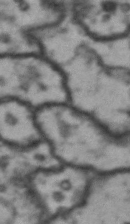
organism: Drosophila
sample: Brain